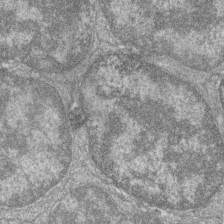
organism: Zebrafish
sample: Cilia; retinal pigment epithelium